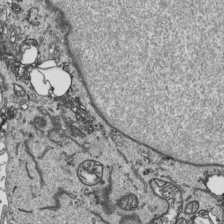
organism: Human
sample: Mitochondria in HCT116 cells